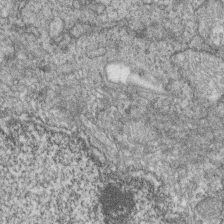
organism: Zebrafish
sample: Cilia; retinal pigment epithelium